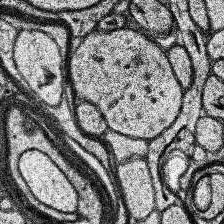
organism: Human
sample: Temporal Lobe